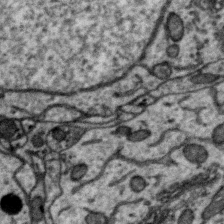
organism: Zebra finch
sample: Brain